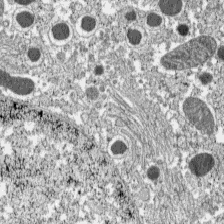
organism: C57BL Mouse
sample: Pancreatic islet